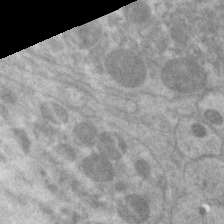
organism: C. elegans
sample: Pharynx